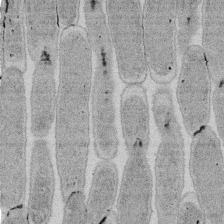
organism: E. coli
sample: Bacterial nucleoid